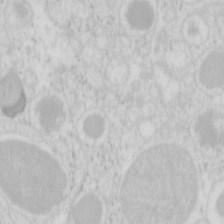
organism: Mouse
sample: Pancreas